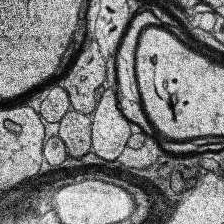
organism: Human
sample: Temporal Lobe